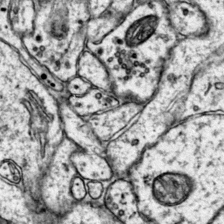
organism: Mouse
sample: Primary visual cortex